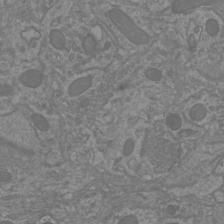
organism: Mouse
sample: Cortical neurons